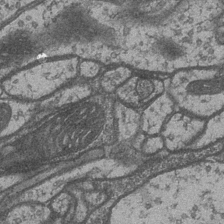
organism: Drosophila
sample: Optic medulla